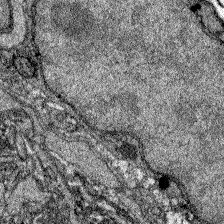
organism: Zebrafish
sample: Larval olfactory bulb